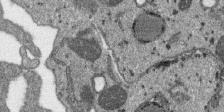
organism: Human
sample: Lung epithelial cells infected with SARS-CoV-2